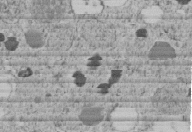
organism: C. elegans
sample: C. elegans embryo early stage